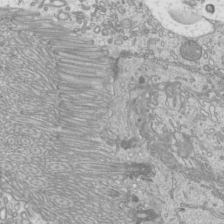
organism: Mouse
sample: Cilia; mouse epididymis